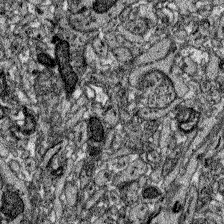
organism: Zebrafish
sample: Larval olfactory bulb